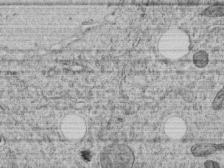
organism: C. elegans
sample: C. elegans embryo early stage